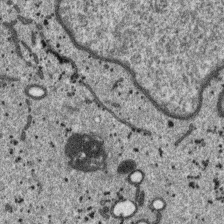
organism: Human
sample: Lung epithelial cells infected with SARS-CoV-2